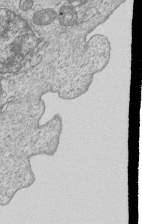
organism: Human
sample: MDA-MB-231 cells